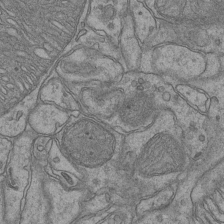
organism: Mouse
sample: CA1 Hippocampus